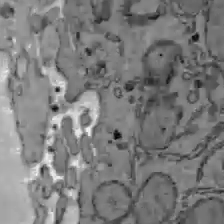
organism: C57BL Mouse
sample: Liver